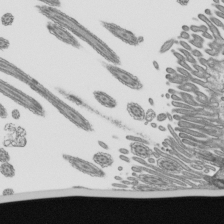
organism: Mouse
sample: Mouse epididymis efferent ductule cilia